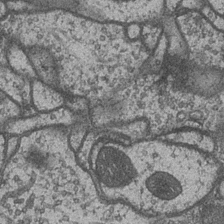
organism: Drosophila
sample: Optic medulla